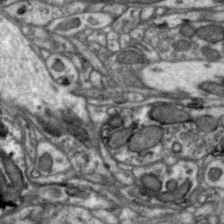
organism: Zebra finch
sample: Brain